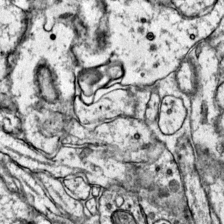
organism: Mouse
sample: Primary visual cortex